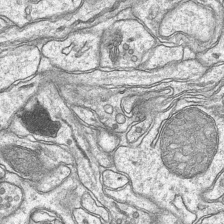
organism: Mouse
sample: CA1 Hippocampus